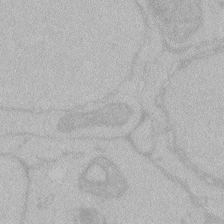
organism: Zebrafish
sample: Macrophage infected with Toxoplasma gondii